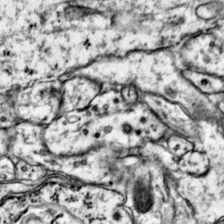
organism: Mouse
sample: Primary visual cortex